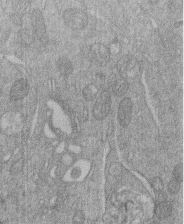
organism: Human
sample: Macrophage cells